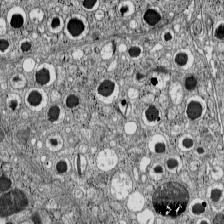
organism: C57BL Mouse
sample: Pancreatic islet